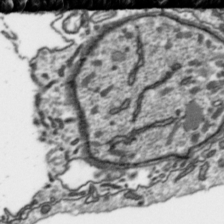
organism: Toxoplasma gondii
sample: Parasites in a vacuole inside a host cell